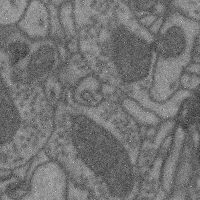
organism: Mouse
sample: Cerebral cortex